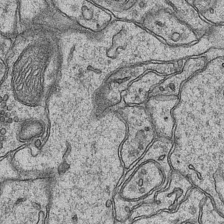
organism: Mouse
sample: CA1 Hippocampus